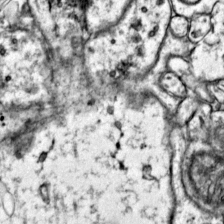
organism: Mouse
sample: Primary visual cortex